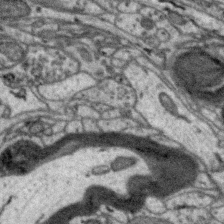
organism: Zebra finch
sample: Brain